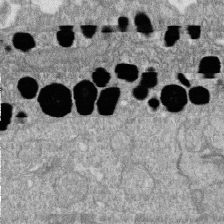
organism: Zebrafish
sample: Cilia; retinal pigment epithelium